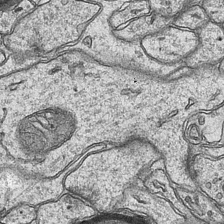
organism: Mouse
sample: CA1 Hippocampus